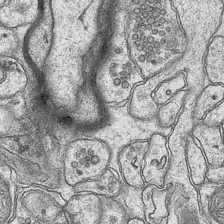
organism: Mouse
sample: CA1 Hippocampus